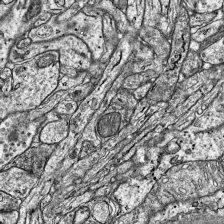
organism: Mouse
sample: Visual Cortex